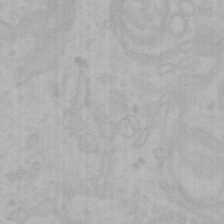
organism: Mouse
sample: Choroid plexus